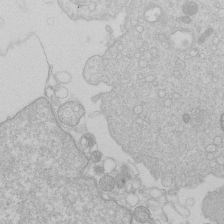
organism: Human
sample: Macrophage cells